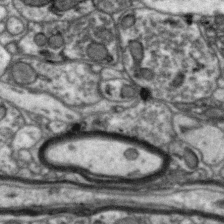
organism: Zebra finch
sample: Brain